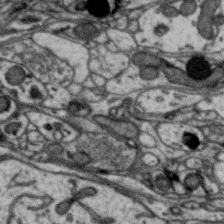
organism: Zebra finch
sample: Brain